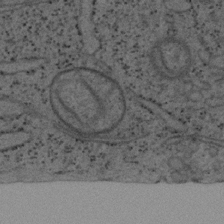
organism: Human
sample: HeLa cells